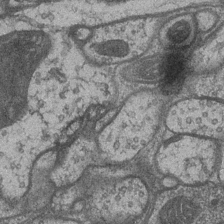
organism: Drosophila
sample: Optic medulla